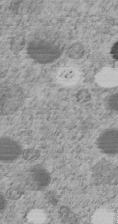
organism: C. elegans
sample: C. elegans embryo early stage